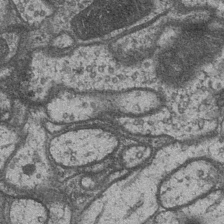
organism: Drosophila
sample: Optic medulla